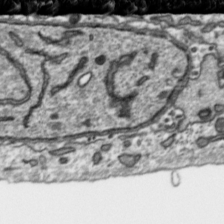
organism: Toxoplasma gondii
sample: Parasites in a vacuole inside a host cell